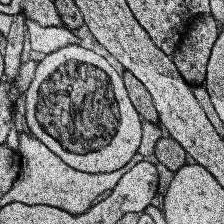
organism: Human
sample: Temporal Lobe